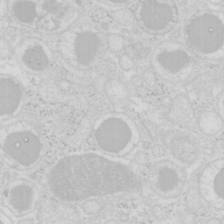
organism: Mouse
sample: Pancreas